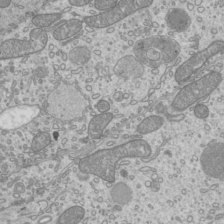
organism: Mouse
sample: Cilia; mouse epididymis